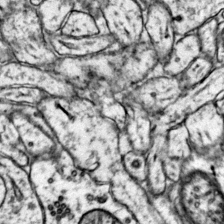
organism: Mouse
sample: Primary visual cortex